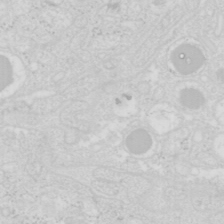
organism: Mouse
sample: Pancreas